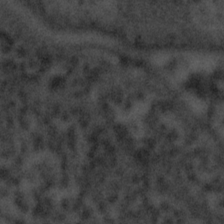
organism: Tuwongella immobilis